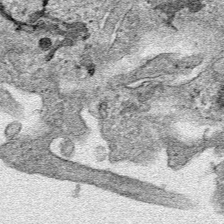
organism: Human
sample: Mitochondria in HCT116 cells